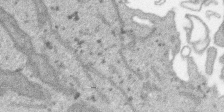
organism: Human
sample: Lung epithelial cells infected with SARS-CoV-2